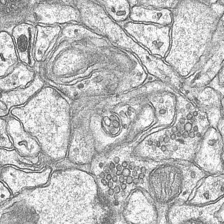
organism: Mouse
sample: CA1 Hippocampus